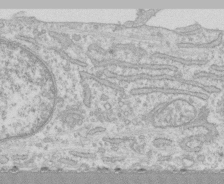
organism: Human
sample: CRL-1474